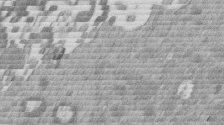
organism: Mouse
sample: Dividing mouse embryo 1 cell stage